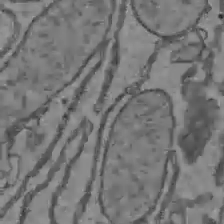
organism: C57BL Mouse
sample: Liver